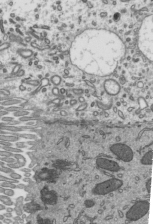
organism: Mouse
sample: Mouse epididymis efferent ductule cilia